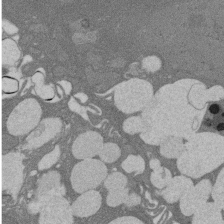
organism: Rat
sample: Salivary granule